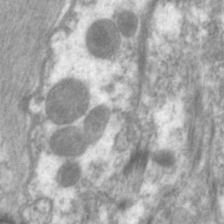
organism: C. elegans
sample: Pharynx